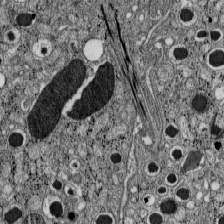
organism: C57BL Mouse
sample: Pancreatic islet